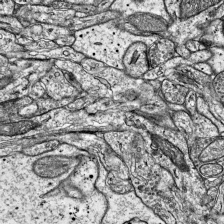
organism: Mouse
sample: Visual Cortex